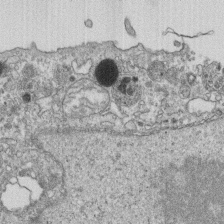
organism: Human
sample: HeLa cell HIV synapse